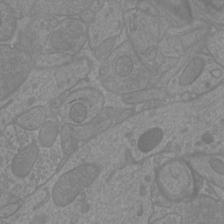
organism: Mouse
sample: Cortical neurons